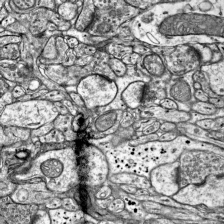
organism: Mouse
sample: Visual Cortex